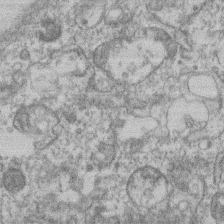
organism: Mouse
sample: T cell stromal cell synapse